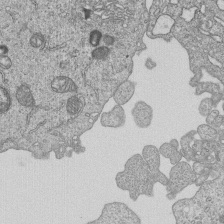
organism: Human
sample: MDA-MB-231 cells